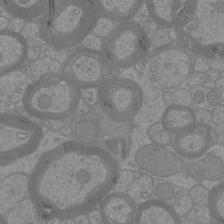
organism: Mouse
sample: Cortical neurons